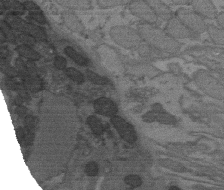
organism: C. elegans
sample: AFD neurons C. elegans